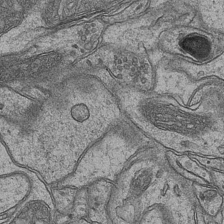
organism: Mouse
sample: CA1 Hippocampus